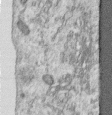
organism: Human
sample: Centriole in RPE cells